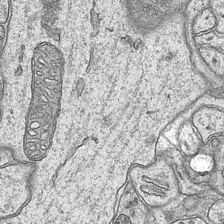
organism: Mouse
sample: CA1 Hippocampus